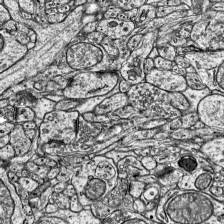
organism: Mouse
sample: Visual Cortex